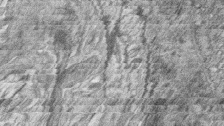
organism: Zebrafish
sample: synaptic ribbons in rod cells and cone cells